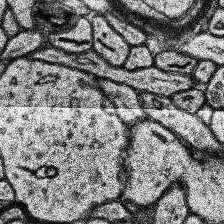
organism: Human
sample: Temporal Lobe